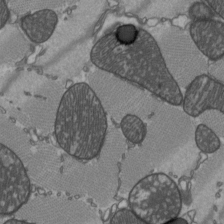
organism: C57BL Mouse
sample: Heart